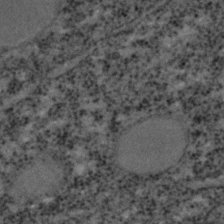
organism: C. elegans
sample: C. elegans embryo